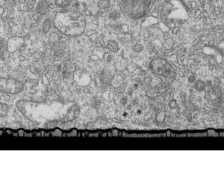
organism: Human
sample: HeLa cell HIV synapse